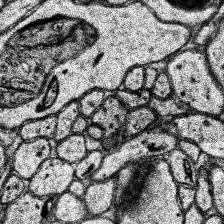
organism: Human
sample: Temporal Lobe